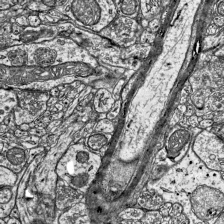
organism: Mouse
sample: Visual Cortex